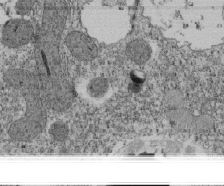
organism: Tetrahymena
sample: Cilia in tetrahymena